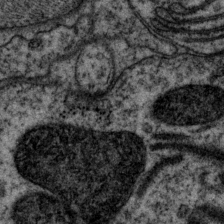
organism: P. pacificus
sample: Pharynx